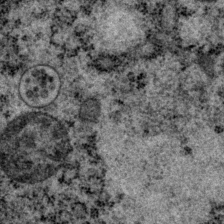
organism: P. pacificus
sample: Pharynx